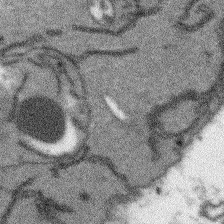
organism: Arabidopsis thaliana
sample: Root tip